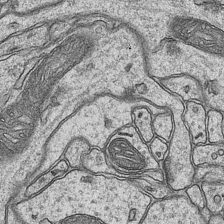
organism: Mouse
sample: CA1 Hippocampus